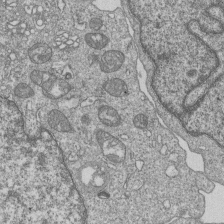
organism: Human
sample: MDA-MB-231 cells